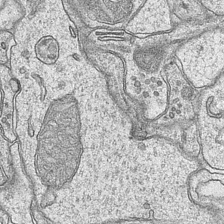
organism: Mouse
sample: CA1 Hippocampus